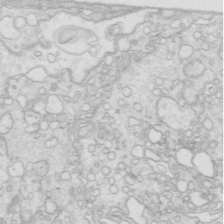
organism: Mouse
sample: Multiciliated cells